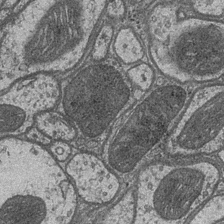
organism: Drosophila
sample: Optic medulla